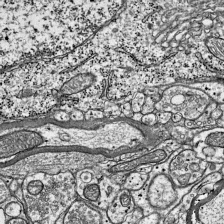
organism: Mouse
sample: Visual Cortex